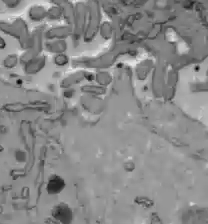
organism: C57BL Mouse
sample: Liver